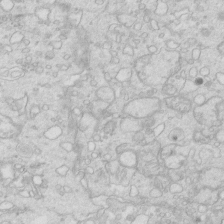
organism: Mouse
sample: Multiciliated cells